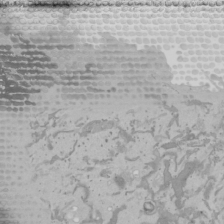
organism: Mouse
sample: Cancer cell death in ED-1 cells